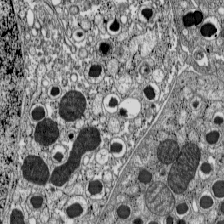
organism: C57BL Mouse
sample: Pancreatic islet